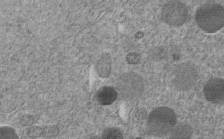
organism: C. elegans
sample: C. elegans embryo early stage